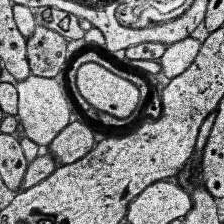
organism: Human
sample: Temporal Lobe